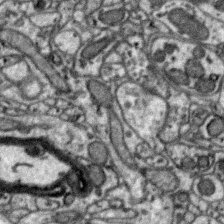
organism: Zebra finch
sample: Brain